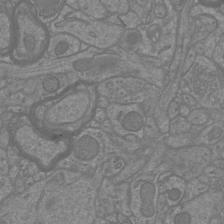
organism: Mouse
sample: Cortical neurons